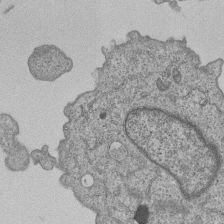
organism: Human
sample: MDA-MB-231 cells